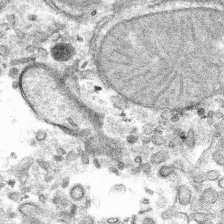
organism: Mouse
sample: Mouse hepatocytes